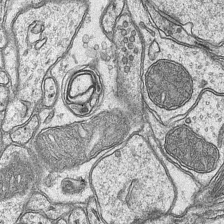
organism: Mouse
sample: CA1 Hippocampus